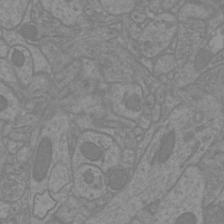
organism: Mouse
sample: Cortical neurons